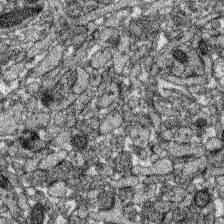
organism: Zebrafish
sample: Larval olfactory bulb